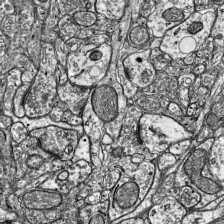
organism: Mouse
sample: Visual Cortex